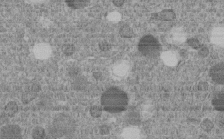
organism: C. elegans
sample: C. elegans embryo early stage